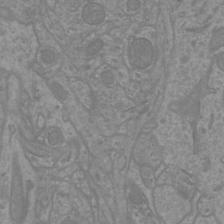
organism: Mouse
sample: Cortical neurons